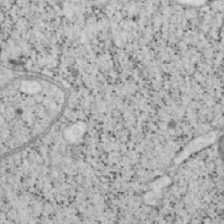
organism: Mouse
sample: OT-I killer T cells with ID8 ovarian cancer cells